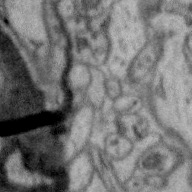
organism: Zebra finch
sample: Brain